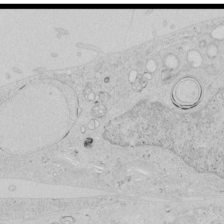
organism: Human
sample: Mitochondria in HCT116 cells